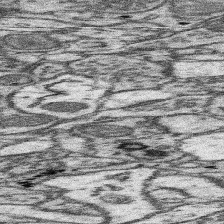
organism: Mouse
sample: Somatosensory cortex neuropil